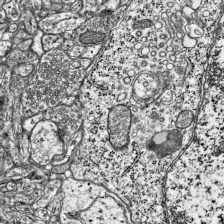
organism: Mouse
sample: Visual Cortex